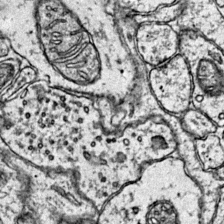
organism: Mouse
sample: Primary visual cortex